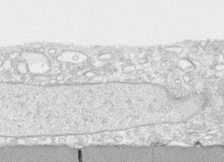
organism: Human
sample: CRL-1474